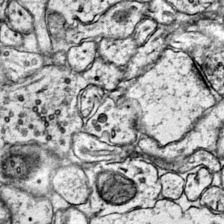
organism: Mouse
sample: Primary visual cortex